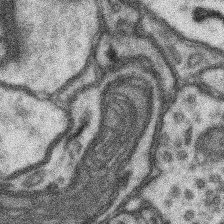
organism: Mouse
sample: Somatosensory cortex neuropil